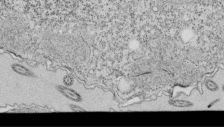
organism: Tetrahymena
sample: Cilia in tetrahymena